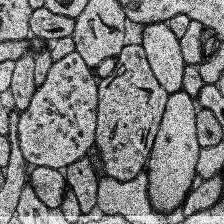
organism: Human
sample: Temporal Lobe